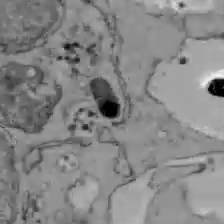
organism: C57BL Mouse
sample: Liver